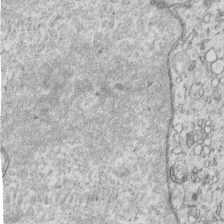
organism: Human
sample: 1205lu cells